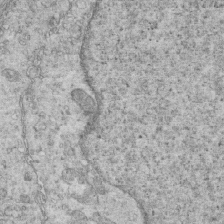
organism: Mouse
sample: Multiciliated cells